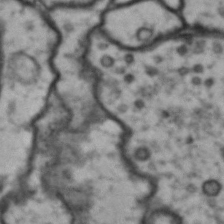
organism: Drosophila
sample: Brain